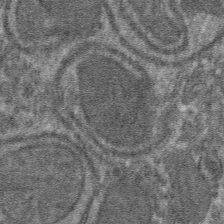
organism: Mouse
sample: Mouse hepatocytes